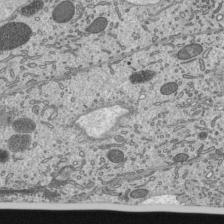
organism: Mouse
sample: Mouse epididymis efferent ductule cilia